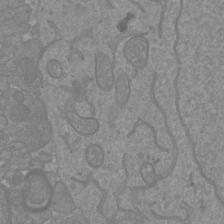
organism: Mouse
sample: Cortical neurons